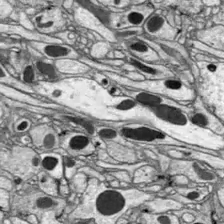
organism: Drosophila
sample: Optic lobe